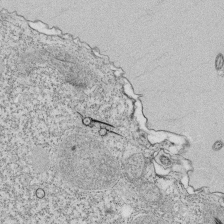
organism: Tetrahymena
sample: Cilia in tetrahymena